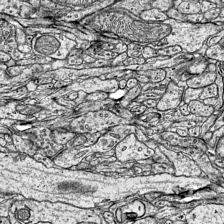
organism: Mouse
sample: Visual Cortex